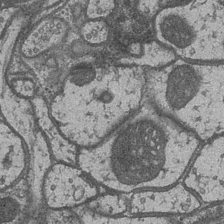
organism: Drosophila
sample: Optic medulla